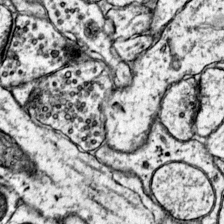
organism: Mouse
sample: Primary visual cortex